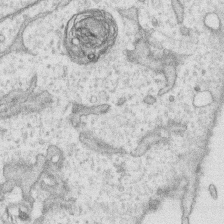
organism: Human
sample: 1205lu cells